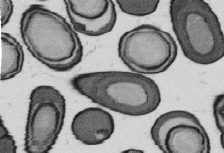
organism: B. subtilis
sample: Bacterial spore